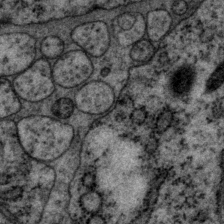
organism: P. pacificus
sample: Pharynx